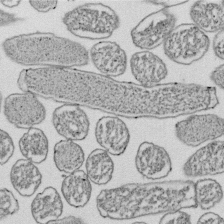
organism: E. coli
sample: Bacterial nucleoid